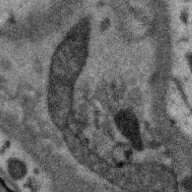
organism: Zebra finch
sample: Brain